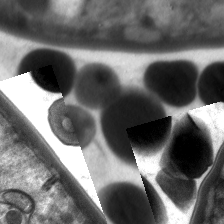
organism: C. elegans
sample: Pharynx